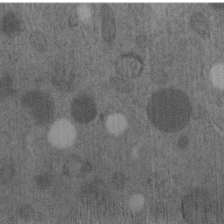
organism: C. elegans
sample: C. elegans embryo early stage